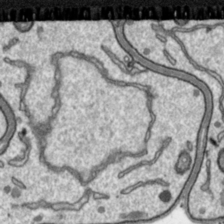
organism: Toxoplasma gondii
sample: Parasites in a vacuole inside a host cell